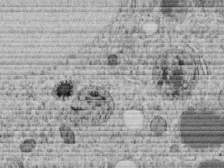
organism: C. elegans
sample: C. elegans embryo early stage